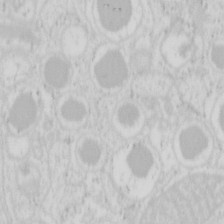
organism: Mouse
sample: Pancreas